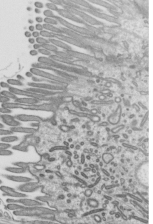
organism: Mouse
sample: Mouse epididymis efferent ductule cilia